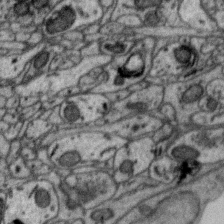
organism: Zebra finch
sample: Brain